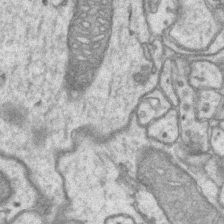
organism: Mouse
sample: CA1 Hippocampus